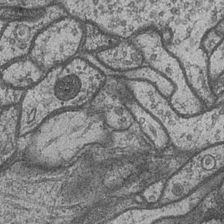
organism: Drosophila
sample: Optic medulla